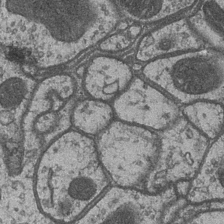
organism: Drosophila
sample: Optic medulla